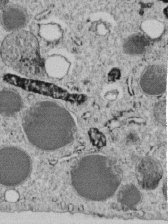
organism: C. elegans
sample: C. elegans embryo early stage